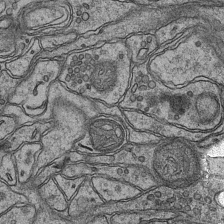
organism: Mouse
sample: CA1 Hippocampus